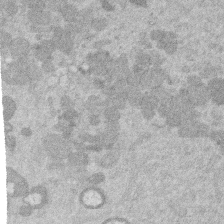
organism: Mouse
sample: Dividing mouse embryo 1 cell stage